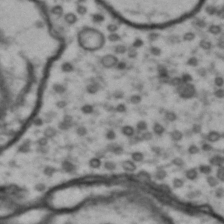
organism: Drosophila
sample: Brain